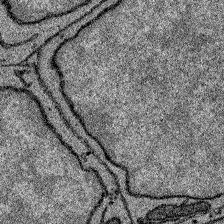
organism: Zebrafish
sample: Larval olfactory bulb